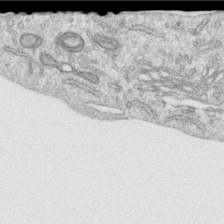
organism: Human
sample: Centriole in RPE cells